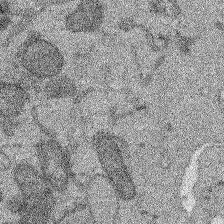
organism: Human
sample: HeLa cells